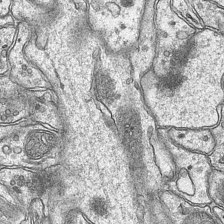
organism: Mouse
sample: CA1 Hippocampus